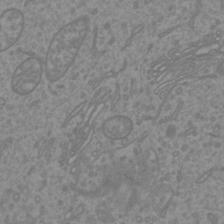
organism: Mouse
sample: Cortical neurons